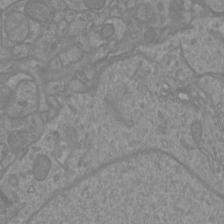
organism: Mouse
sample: Cortical neurons